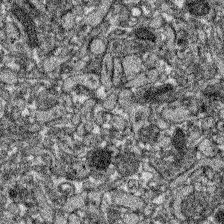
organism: Zebrafish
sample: Larval olfactory bulb